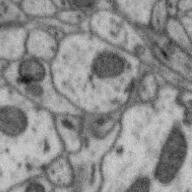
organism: Zebra finch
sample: Brain